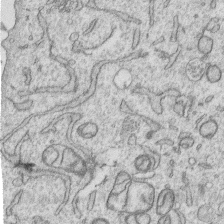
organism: Human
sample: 1205lu cells